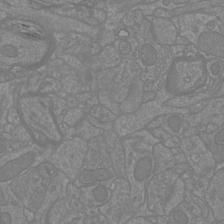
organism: Mouse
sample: Cortical neurons